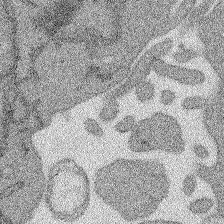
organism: Human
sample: HeLa cells